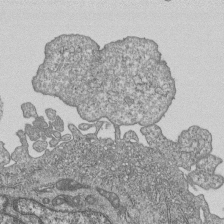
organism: Human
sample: MDA-MB-231 cells